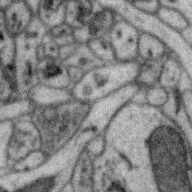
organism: Zebra finch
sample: Brain